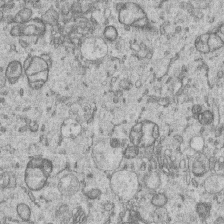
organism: Human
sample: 1205lu cells